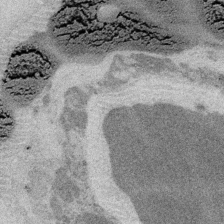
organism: Embia sp.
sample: Silk gland